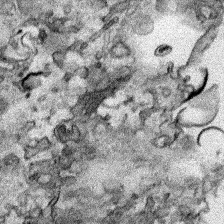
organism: Human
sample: Mitochondria in HCT116 cells